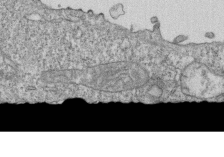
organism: Human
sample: HeLa cell HIV synapse